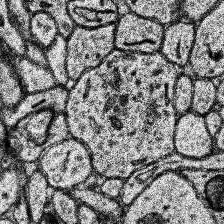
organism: Human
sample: Temporal Lobe